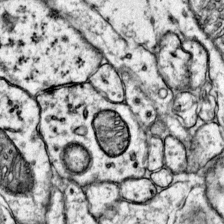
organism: Mouse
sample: Primary visual cortex